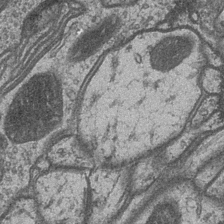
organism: Drosophila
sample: Optic medulla